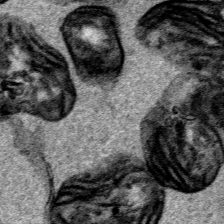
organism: Human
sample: Mitochondria in HCT116 cells